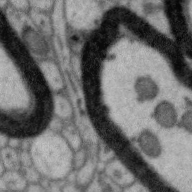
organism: Zebra finch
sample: Brain